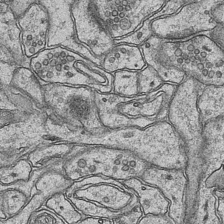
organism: Mouse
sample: CA1 Hippocampus